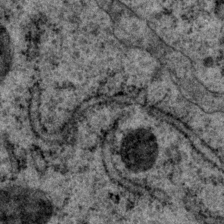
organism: P. pacificus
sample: Pharynx